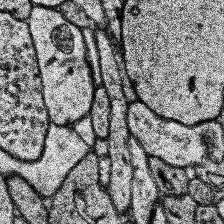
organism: Human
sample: Temporal Lobe